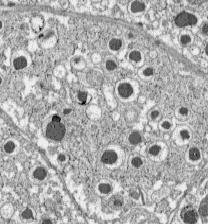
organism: C57BL Mouse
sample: Pancreatic islet